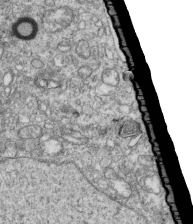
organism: Human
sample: HeLa cell HIV synapse